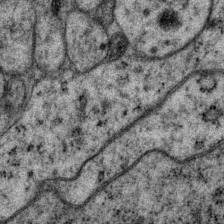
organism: P. pacificus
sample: Pharynx